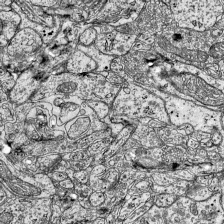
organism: Mouse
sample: Visual Cortex